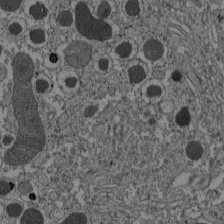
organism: C57BL Mouse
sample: Pancreatic islet